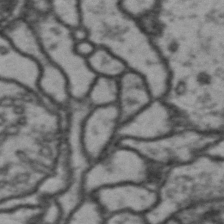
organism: Drosophila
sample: Brain